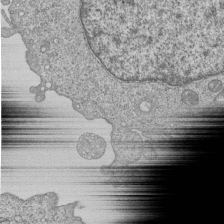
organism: Human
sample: MDA-MB-231 cells